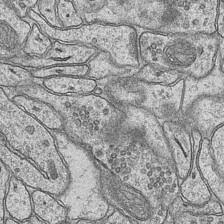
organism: Mouse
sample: CA1 Hippocampus